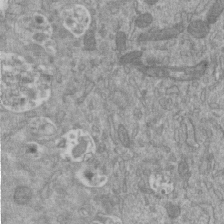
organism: Mouse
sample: ED-1 cell nuclei; centrioles